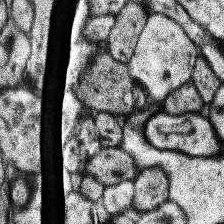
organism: Human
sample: Temporal Lobe